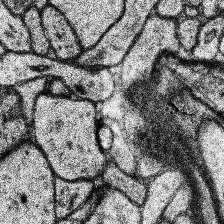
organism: Human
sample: Temporal Lobe